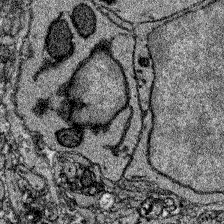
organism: Zebrafish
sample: Larval olfactory bulb